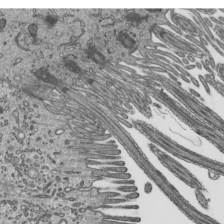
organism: Mouse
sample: Mouse epididymis efferent ductule cilia